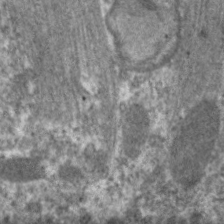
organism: C. elegans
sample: Pharynx